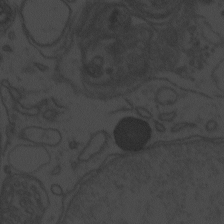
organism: Zebrafish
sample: Macrophage infected with Toxoplasma gondii